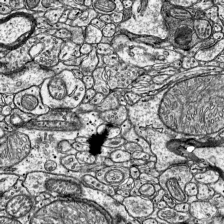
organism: Mouse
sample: Visual Cortex